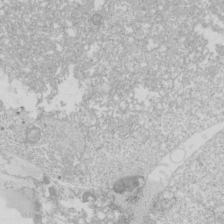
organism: Drosophila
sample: Cell division; meiosis; drosophila spermatocytes